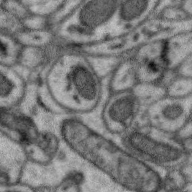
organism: Zebra finch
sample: Brain